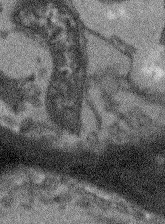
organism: Arabidopsis thaliana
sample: Root tip